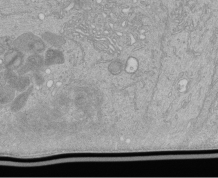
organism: Human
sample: Retinal organoid Rod and Cone cells